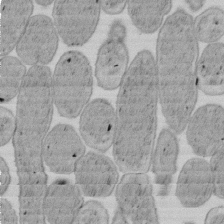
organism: E. coli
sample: Bacterial nucleoid